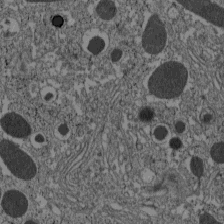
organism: C57BL Mouse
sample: Pancreatic islet